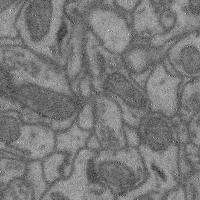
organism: Mouse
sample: Cerebral cortex